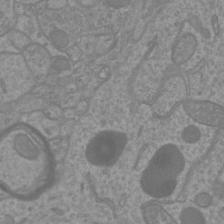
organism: Mouse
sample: Cortical neurons